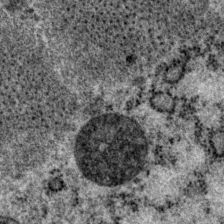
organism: P. pacificus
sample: Pharynx